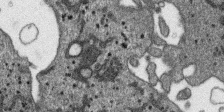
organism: Human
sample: Lung epithelial cells infected with SARS-CoV-2